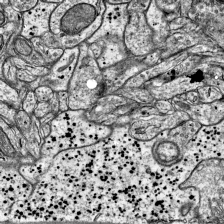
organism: Mouse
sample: Visual Cortex